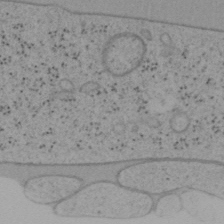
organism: Human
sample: HeLa cells